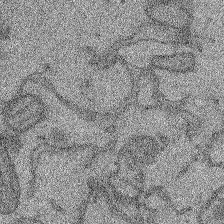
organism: Human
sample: HeLa cells